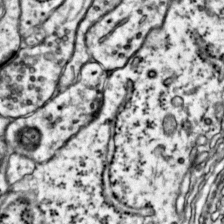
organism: Mouse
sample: Primary visual cortex